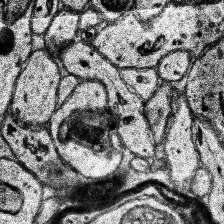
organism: Human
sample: Temporal Lobe